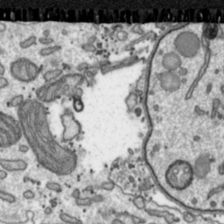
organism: Toxoplasma gondii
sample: Parasites in a vacuole inside a host cell